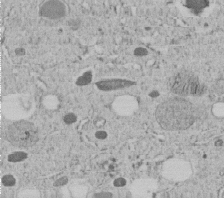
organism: C. elegans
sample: C. elegans embryo early stage